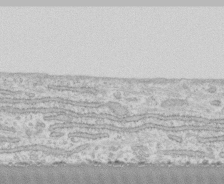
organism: Human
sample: CRL-1474